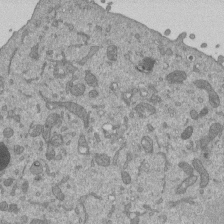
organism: Mouse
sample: ED-1 cell nuclei; centrioles